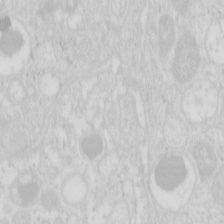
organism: Mouse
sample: Pancreas